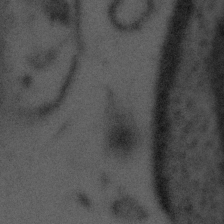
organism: Tuwongella immobilis